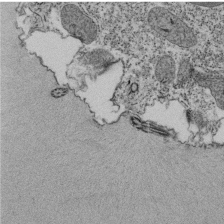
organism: Tetrahymena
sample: Cilia in tetrahymena